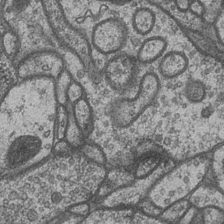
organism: Drosophila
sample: Optic medulla